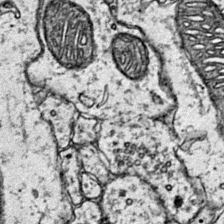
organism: Mouse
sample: Primary visual cortex